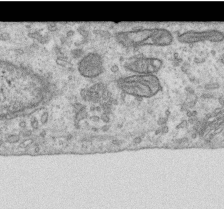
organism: Human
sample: Centriole in RPE cells